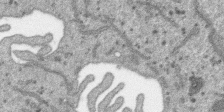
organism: Human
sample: Lung epithelial cells infected with SARS-CoV-2